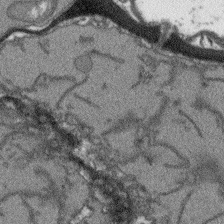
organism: Arabidopsis thaliana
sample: Root tip